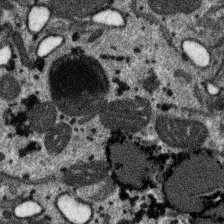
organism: Human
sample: Lung epithelial cells infected with SARS-CoV-2